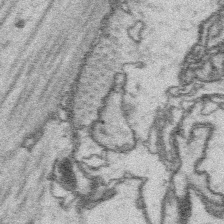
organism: Platynereis dumerilii